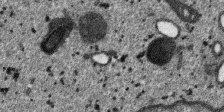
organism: Human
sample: Lung epithelial cells infected with SARS-CoV-2